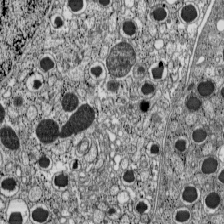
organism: C57BL Mouse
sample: Pancreatic islet